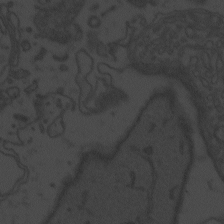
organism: Zebrafish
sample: Macrophage infected with Toxoplasma gondii